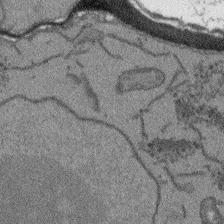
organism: Arabidopsis thaliana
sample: Root tip